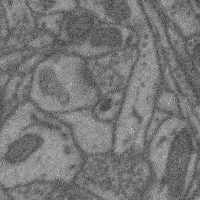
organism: Mouse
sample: Cerebral cortex